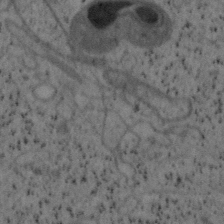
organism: Human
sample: HeLa cells